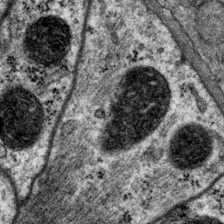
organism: P. pacificus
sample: Pharynx